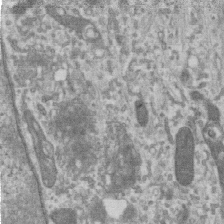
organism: Human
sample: Centriole in RPE cells